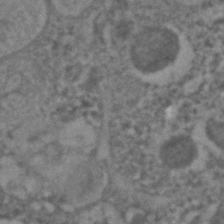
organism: C. elegans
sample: C. elegans embryo